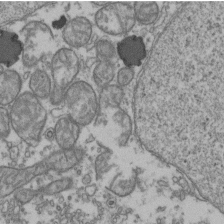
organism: Human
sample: Activated Jurkat CD4+ T cells